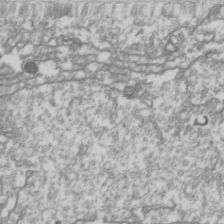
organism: Drosophila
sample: Cell division; meiosis; drosophila spermatocytes